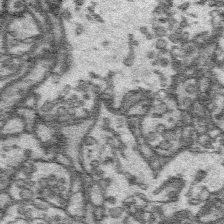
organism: Platynereis dumerilii